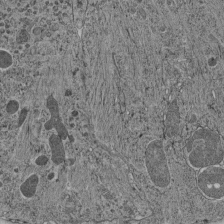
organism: C. elegans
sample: C. elegans pharynx